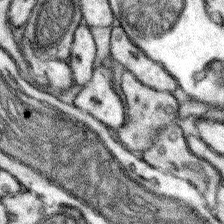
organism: Mouse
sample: Somatosensory cortex neuropil